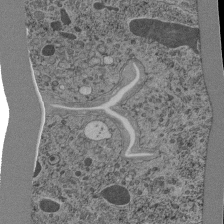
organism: C. elegans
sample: C. elegans pharynx